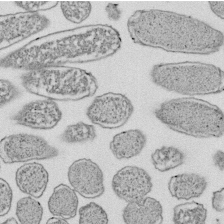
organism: E. coli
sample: Bacterial nucleoid